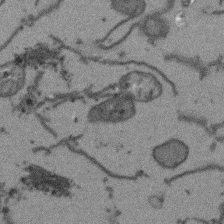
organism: Arabidopsis thaliana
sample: Root tip